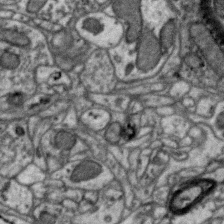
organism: Zebra finch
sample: Brain